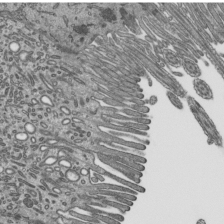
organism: Mouse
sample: Mouse epididymis efferent ductule cilia